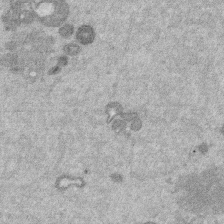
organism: Mouse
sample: Dividing mouse embryo 1 cell stage